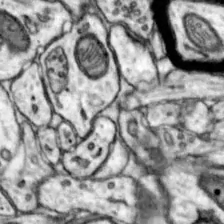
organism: Mouse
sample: Nucleus accumbens